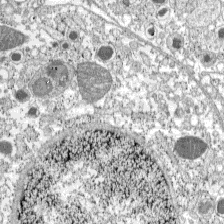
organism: C57BL Mouse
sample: Pancreatic islet